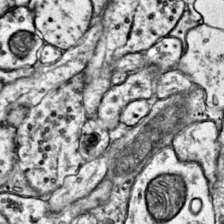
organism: Mouse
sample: Primary visual cortex